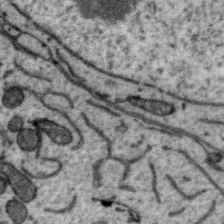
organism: Zebra finch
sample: Brain